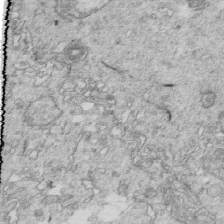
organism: Mouse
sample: Multiciliated cells